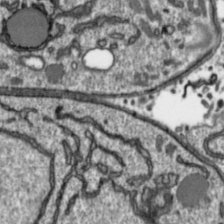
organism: Toxoplasma gondii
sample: Parasites in a vacuole inside a host cell